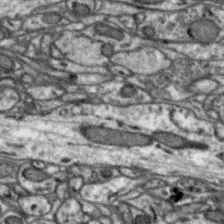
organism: Zebra finch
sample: Brain